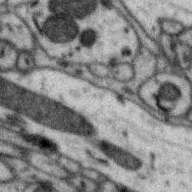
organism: Zebra finch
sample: Brain